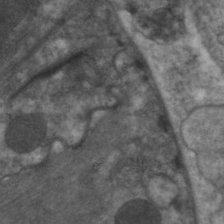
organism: C. elegans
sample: Pharynx